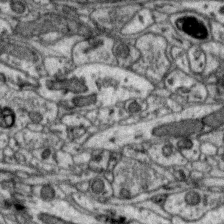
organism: Zebra finch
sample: Brain